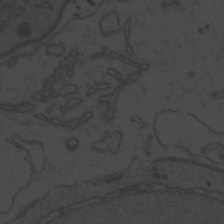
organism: Zebrafish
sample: Macrophage infected with Toxoplasma gondii